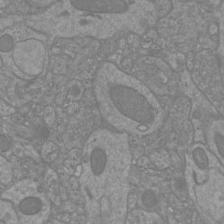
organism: Mouse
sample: Cortical neurons